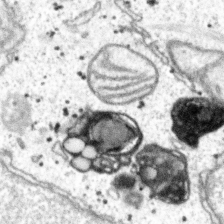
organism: Human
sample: HeLa cells